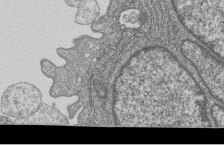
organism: Human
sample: MDA-MB-231 cells